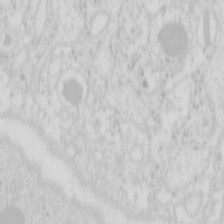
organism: Mouse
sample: Pancreas